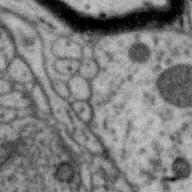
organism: Zebra finch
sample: Brain